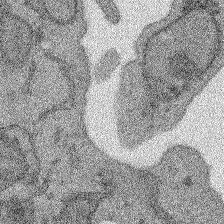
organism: Human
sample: HeLa cells